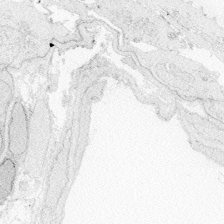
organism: Zebrafish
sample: Whole-Brain